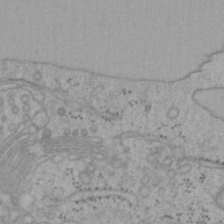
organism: Human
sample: HeLa cells